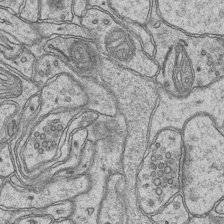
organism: Mouse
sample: CA1 Hippocampus